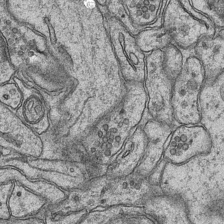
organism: Mouse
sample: CA1 Hippocampus